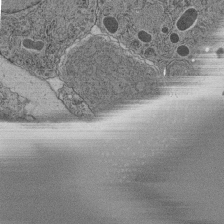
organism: C. elegans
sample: C. elegans pharynx